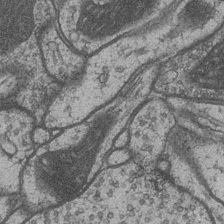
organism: Drosophila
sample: Optic medulla